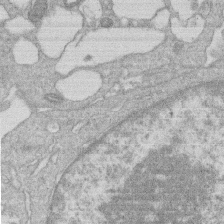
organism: Human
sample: Macrophage cells